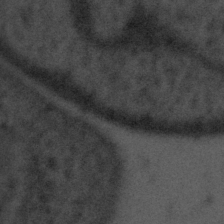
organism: Tuwongella immobilis